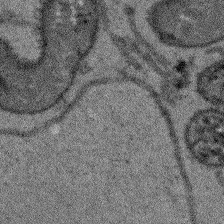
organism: Arabidopsis thaliana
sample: Root tip